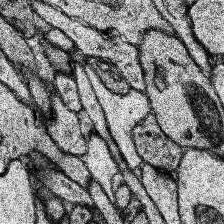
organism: Human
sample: Temporal Lobe